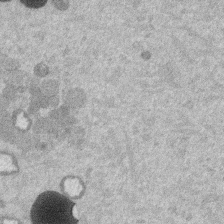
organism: Mouse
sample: Dividing mouse embryo 1 cell stage